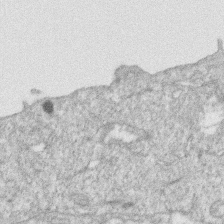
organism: Human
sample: HeLa cell HIV synapse